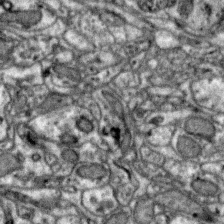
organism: Zebra finch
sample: Brain